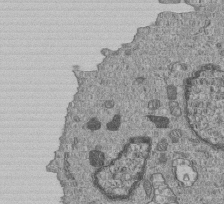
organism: Human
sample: MDA-MB-231 cells